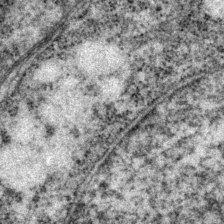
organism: P. pacificus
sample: Pharynx